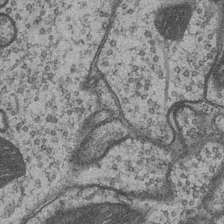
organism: Drosophila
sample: Optic medulla